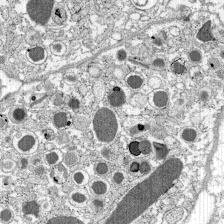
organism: C57BL Mouse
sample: Pancreatic islet